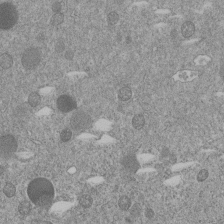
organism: C. elegans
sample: C. elegans embryo early stage